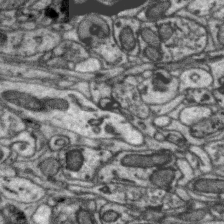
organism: Zebra finch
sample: Brain